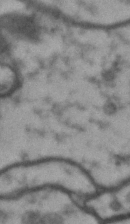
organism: Drosophila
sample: Brain